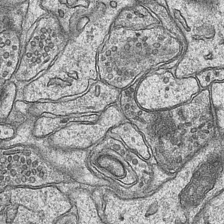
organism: Mouse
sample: CA1 Hippocampus